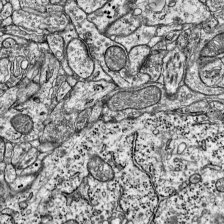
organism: Mouse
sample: Visual Cortex